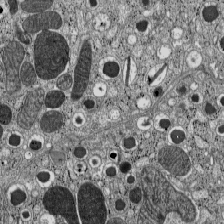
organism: C57BL Mouse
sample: Pancreatic islet